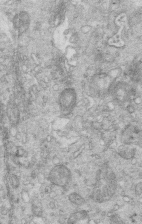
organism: Mouse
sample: Multiciliated cells